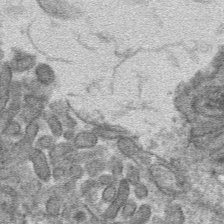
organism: Mouse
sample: Mouse hepatocytes